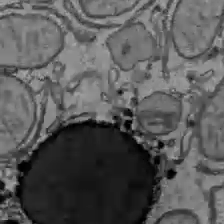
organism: C57BL Mouse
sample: Liver